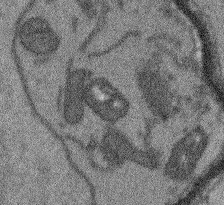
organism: Arabidopsis thaliana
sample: Root tip